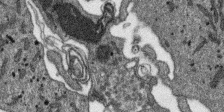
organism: Human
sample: Lung epithelial cells infected with SARS-CoV-2